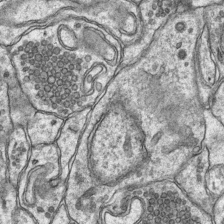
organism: Mouse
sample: CA1 Hippocampus